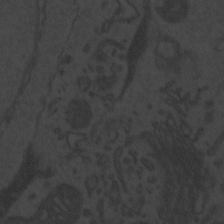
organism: Zebrafish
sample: Macrophage infected with Toxoplasma gondii